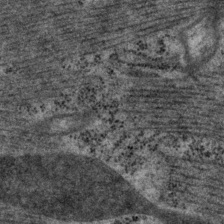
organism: P. pacificus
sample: Pharynx